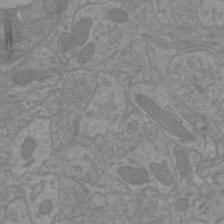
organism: Mouse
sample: Cortical neurons